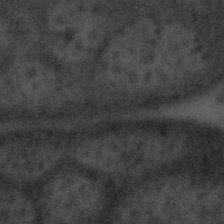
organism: Tuwongella immobilis